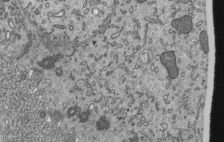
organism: Mouse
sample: Mouse epididymis efferent ductule cilia